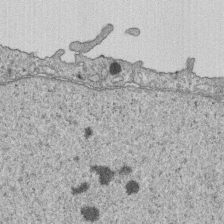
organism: Human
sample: HeLa cell HIV synapse